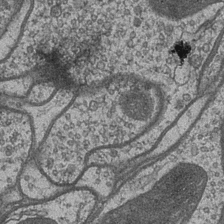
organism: Drosophila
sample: Optic medulla